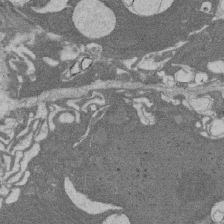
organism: Rat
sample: Salivary granule